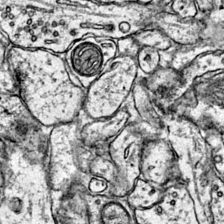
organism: Mouse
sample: Primary visual cortex